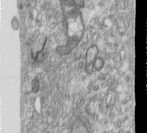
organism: Human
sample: Centriole in RPE cells